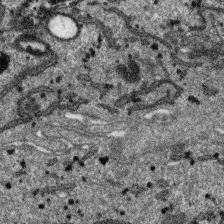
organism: Human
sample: Lung epithelial cells infected with SARS-CoV-2